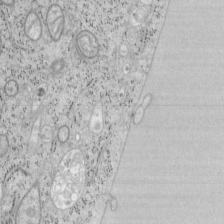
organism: Mouse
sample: OT-I killer T cells with ID8 ovarian cancer cells